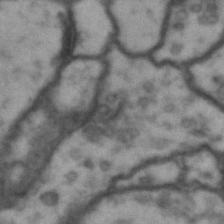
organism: Drosophila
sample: Brain